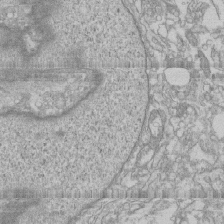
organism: Human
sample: CRL-1474